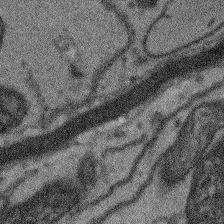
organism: Arabidopsis thaliana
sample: Root tip